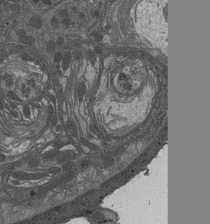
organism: Drosophila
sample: Antenna